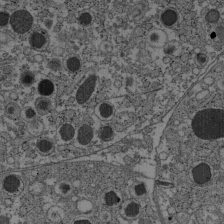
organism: C57BL Mouse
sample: Pancreatic islet